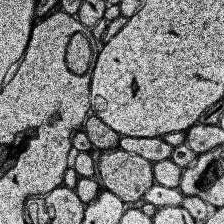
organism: Human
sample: Temporal Lobe